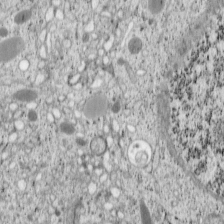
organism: African green monkey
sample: COS-7 cells